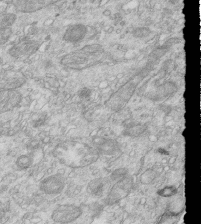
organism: Mouse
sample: Multiciliated cells